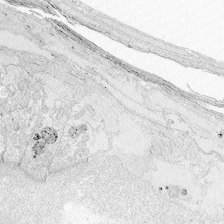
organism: Zebrafish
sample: Whole-Brain